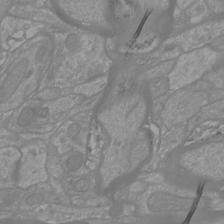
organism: Mouse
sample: Cortical neurons